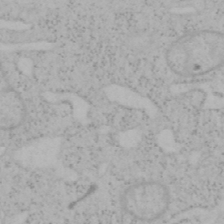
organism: Mouse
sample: OT-I killer T cells with ID8 ovarian cancer cells